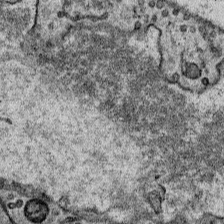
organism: Mouse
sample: Mouse Salivary gland